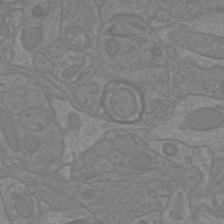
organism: Mouse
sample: Cortical neurons